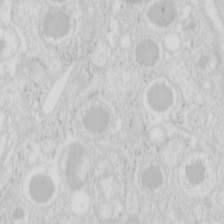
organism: Mouse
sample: Pancreas